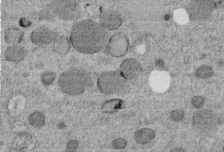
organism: C. elegans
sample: C. elegans embryo early stage